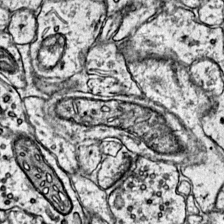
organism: Mouse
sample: Primary visual cortex